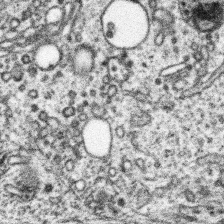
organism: Human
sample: HeLa cells